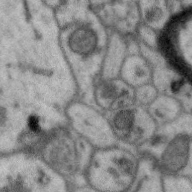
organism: Zebra finch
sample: Brain